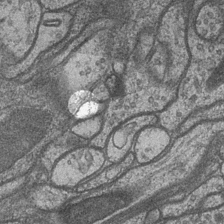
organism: Drosophila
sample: Optic medulla